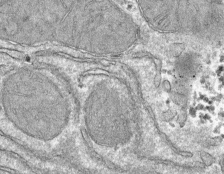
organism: Mouse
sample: Mouse hepatocytes